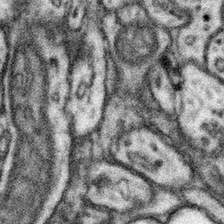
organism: Mouse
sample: Somatosensory cortex neuropil